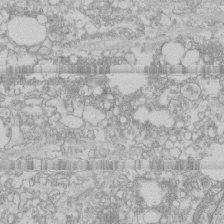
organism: Human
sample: CRL-1474